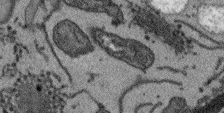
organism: Arabidopsis thaliana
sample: Root tip